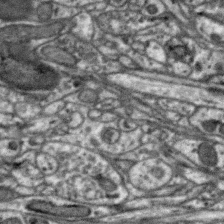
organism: Zebra finch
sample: Brain